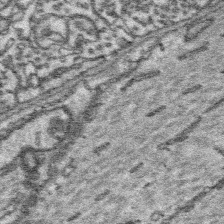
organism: Platynereis dumerilii